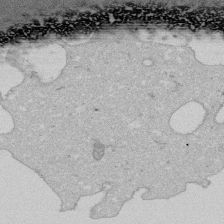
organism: Human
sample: Activated Jurkat CD4+ T cells